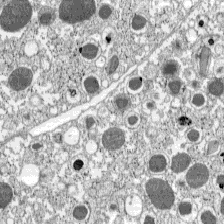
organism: C57BL Mouse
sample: Pancreatic islet